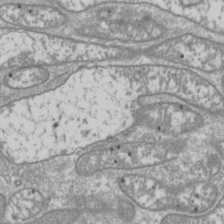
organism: Drosophila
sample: Cell division; meiosis; drosophila spermatocytes